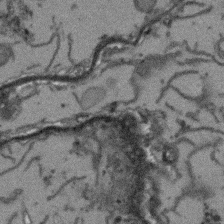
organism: Arabidopsis thaliana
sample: Root tip